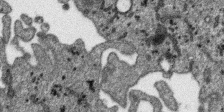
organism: Human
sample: Lung epithelial cells infected with SARS-CoV-2